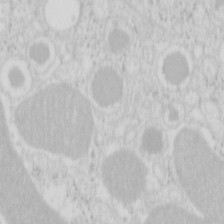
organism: Mouse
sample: Pancreas